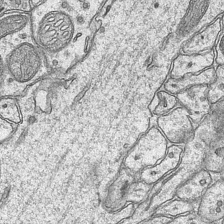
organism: Mouse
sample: CA1 Hippocampus